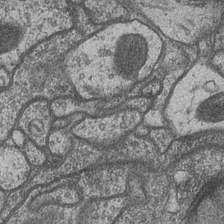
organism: Drosophila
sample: Optic medulla